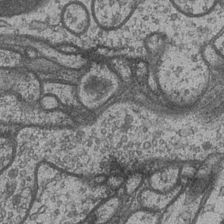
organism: Drosophila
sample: Optic medulla